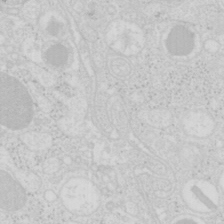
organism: Mouse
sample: Pancreas